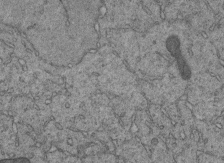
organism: C. elegans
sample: C. elegans embryo early stage